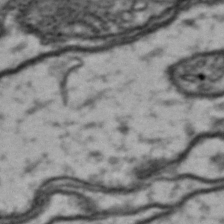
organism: Drosophila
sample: Brain